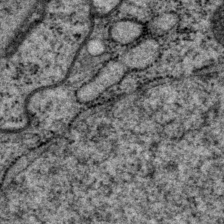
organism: P. pacificus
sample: Pharynx